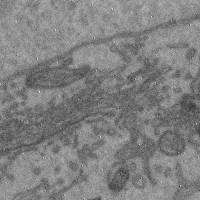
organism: Mouse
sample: Cerebral cortex